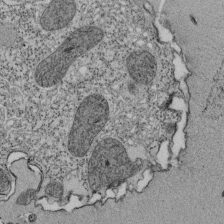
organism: Tetrahymena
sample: Cilia in tetrahymena